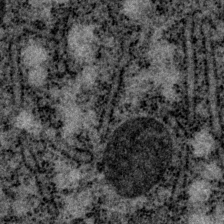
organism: P. pacificus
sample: Pharynx